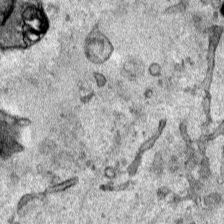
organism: Human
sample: Mitochondria in HCT116 cells